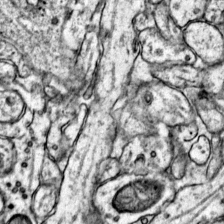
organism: Mouse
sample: Primary visual cortex